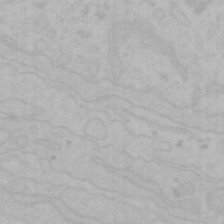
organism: Mouse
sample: Choroid plexus